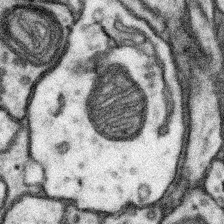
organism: Mouse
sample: Somatosensory cortex neuropil